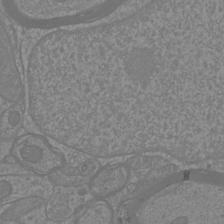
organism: Mouse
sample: Cortical neurons